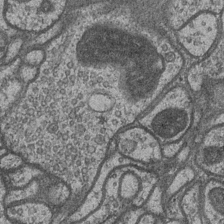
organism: Drosophila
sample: Optic medulla